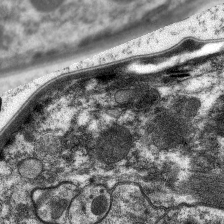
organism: C. elegans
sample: Pharynx